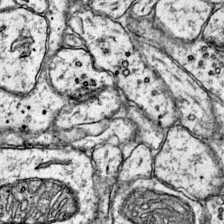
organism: Mouse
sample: Primary visual cortex